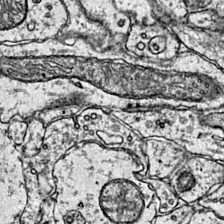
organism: Mouse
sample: Primary visual cortex